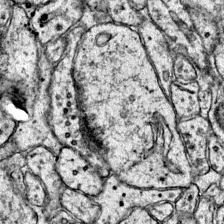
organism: Mouse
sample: Primary visual cortex